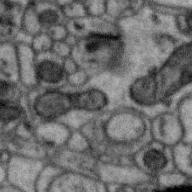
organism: Zebra finch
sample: Brain